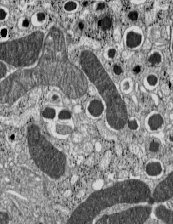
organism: C57BL Mouse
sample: Pancreatic islet